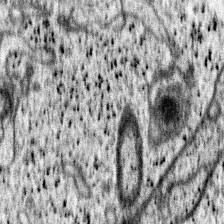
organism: Human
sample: HeLa cells